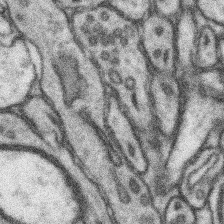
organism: Mouse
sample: Somatosensory cortex neuropil